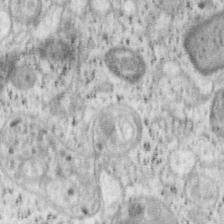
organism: Mouse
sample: OT-I killer T cells with ID8 ovarian cancer cells